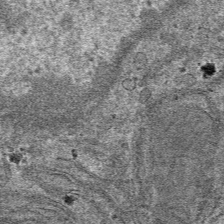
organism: Mouse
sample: Mouse hepatocytes